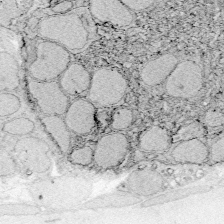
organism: Zebrafish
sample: Whole-Brain